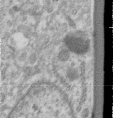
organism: Human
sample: Centriole in RPE cells